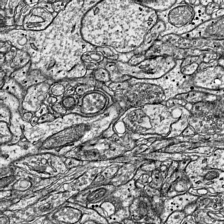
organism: Mouse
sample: Visual Cortex